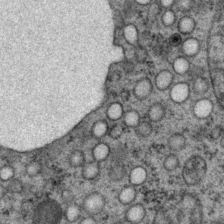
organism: P. pacificus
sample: Pharynx